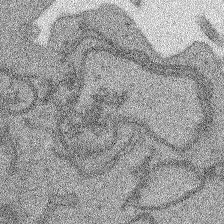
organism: Human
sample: HeLa cells